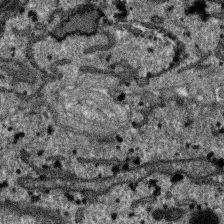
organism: Human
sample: Lung epithelial cells infected with SARS-CoV-2